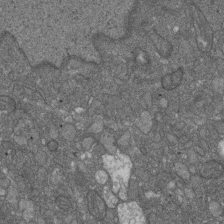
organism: Drosophila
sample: Nephrocyte